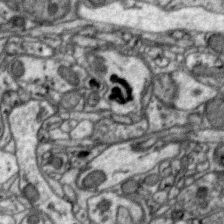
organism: Zebra finch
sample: Brain